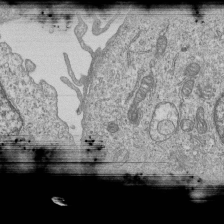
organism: Human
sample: MDA-MB-231 cells